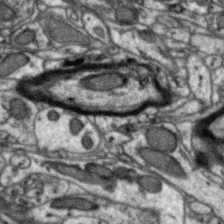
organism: Zebra finch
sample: Brain